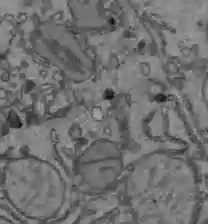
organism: C57BL Mouse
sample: Liver